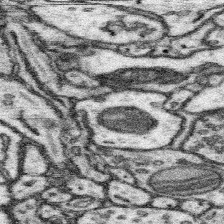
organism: Mouse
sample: Somatosensory cortex neuropil